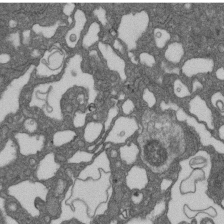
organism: Drosophila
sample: Nephrocyte